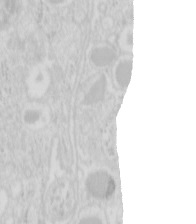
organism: Mouse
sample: Pancreas